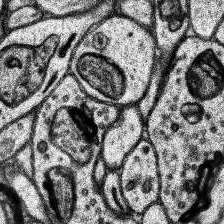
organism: Human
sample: Temporal Lobe